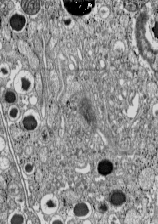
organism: C57BL Mouse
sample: Pancreatic islet